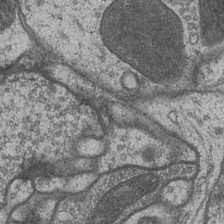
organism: Drosophila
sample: Optic medulla